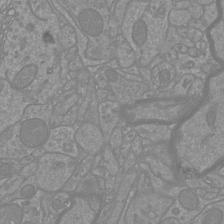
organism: Mouse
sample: Cortical neurons